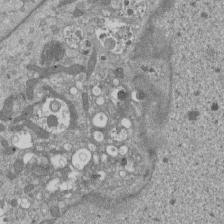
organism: Mouse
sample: ED-1 cell nuclei; centrioles